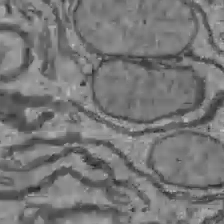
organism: C57BL Mouse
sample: Liver